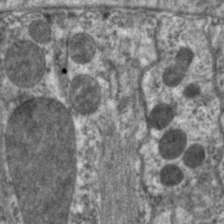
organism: C. elegans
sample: Pharynx